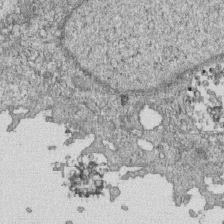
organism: Human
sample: HeLa cell HIV synapse